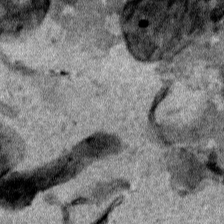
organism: Human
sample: Mitochondria in HCT116 cells